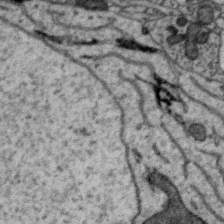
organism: Zebra finch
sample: Brain